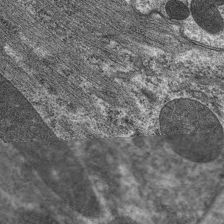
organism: C. elegans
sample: Pharynx